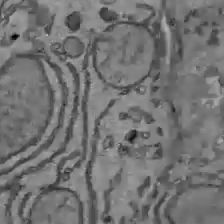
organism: C57BL Mouse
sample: Liver